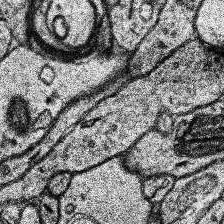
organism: Human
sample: Temporal Lobe